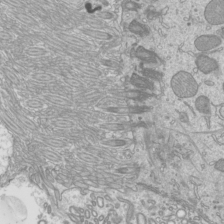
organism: Mouse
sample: Cilia; mouse epididymis